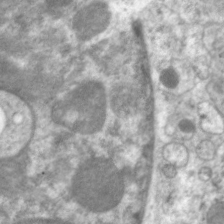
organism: C. elegans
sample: Pharynx